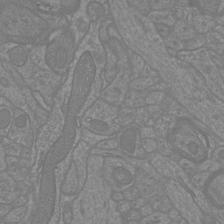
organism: Mouse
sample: Cortical neurons